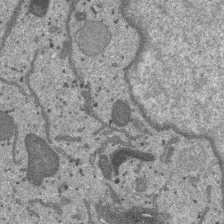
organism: Human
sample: Lung epithelial cells infected with SARS-CoV-2